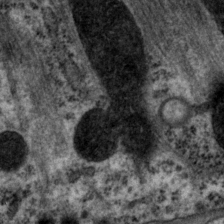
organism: P. pacificus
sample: Pharynx